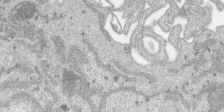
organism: Human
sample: Lung epithelial cells infected with SARS-CoV-2